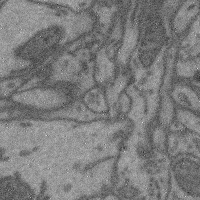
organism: Mouse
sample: Cerebral cortex